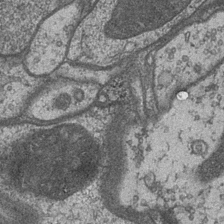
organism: Drosophila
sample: Optic medulla